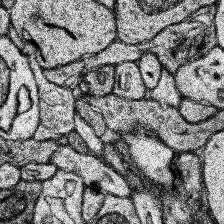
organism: Human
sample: Temporal Lobe